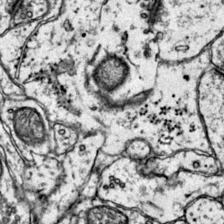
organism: Mouse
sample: Primary visual cortex